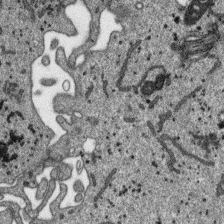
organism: Human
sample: Lung epithelial cells infected with SARS-CoV-2